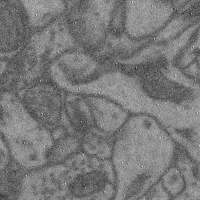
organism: Mouse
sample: Cerebral cortex